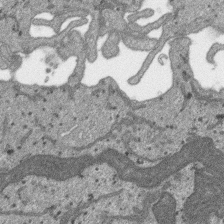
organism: Human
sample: Lung epithelial cells infected with SARS-CoV-2